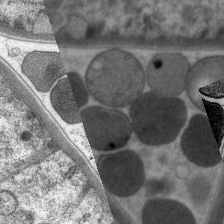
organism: C. elegans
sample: Pharynx